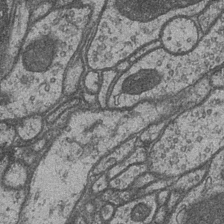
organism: Drosophila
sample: Optic medulla